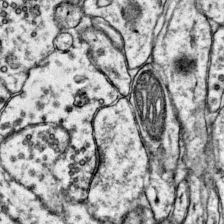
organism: Mouse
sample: Primary visual cortex